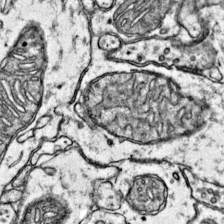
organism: Mouse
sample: Primary visual cortex